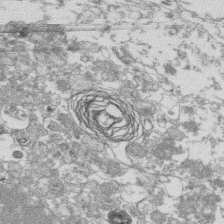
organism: Human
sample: HeLa cell HIV synapse